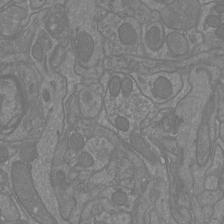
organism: Mouse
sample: Cortical neurons